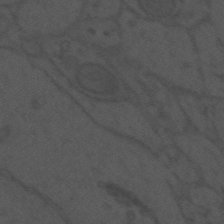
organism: Mouse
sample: Suprachiasmatic nucleus